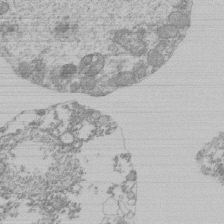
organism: Mouse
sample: Activated Pmel transgenic CD8+ T Cells